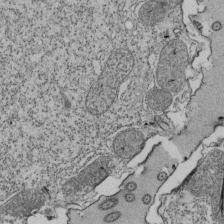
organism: Tetrahymena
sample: Cilia in tetrahymena